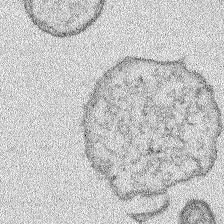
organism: Human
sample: HeLa cells